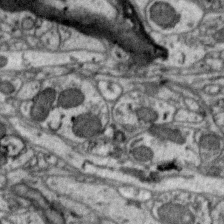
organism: Zebra finch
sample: Brain